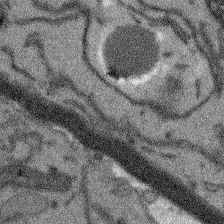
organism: Arabidopsis thaliana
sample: Root tip